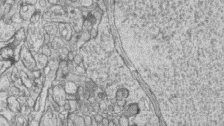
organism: Zebrafish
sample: synaptic ribbons in rod cells and cone cells